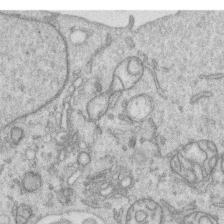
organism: Human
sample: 1205lu cells